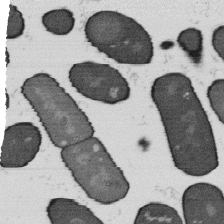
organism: B. subtilis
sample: Bacterial spore